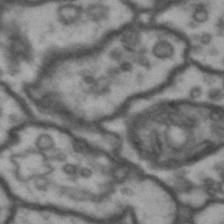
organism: Drosophila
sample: Brain